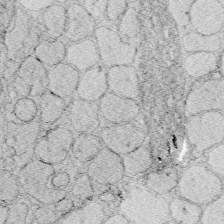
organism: Zebrafish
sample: Whole-Brain